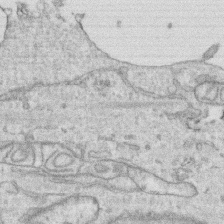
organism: Human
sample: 1205lu cells